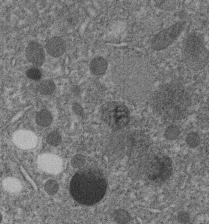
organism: C. elegans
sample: C. elegans embryo early stage